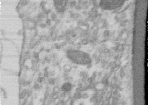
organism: Human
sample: Centriole in RPE cells